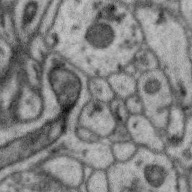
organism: Zebra finch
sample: Brain